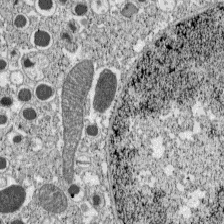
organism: C57BL Mouse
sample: Pancreatic islet